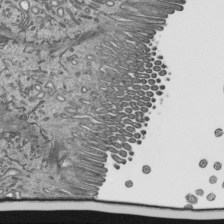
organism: Mouse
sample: Mouse epididymis efferent ductule cilia